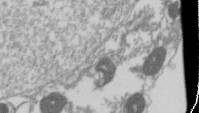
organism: Drosophila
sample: Cell division; meiosis; drosophila spermatocytes